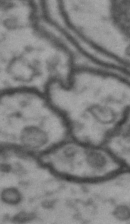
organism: Drosophila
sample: Brain